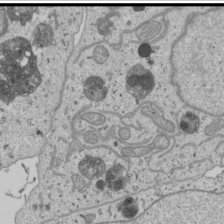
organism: Human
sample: Mitochondria in U2OS cells